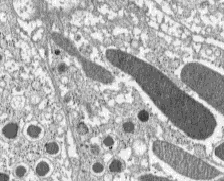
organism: C57BL Mouse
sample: Pancreatic islet